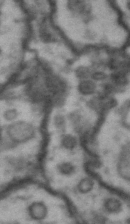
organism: Drosophila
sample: Brain